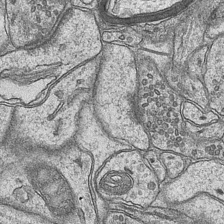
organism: Mouse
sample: CA1 Hippocampus